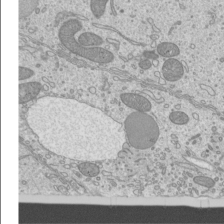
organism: Mouse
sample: Cilia; mouse epididymis